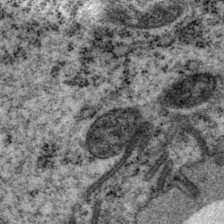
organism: P. pacificus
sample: Pharynx